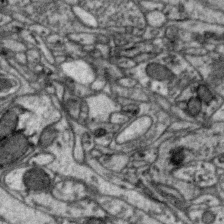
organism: Zebra finch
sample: Brain